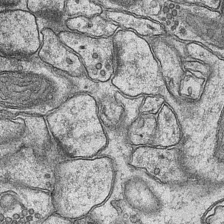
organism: Mouse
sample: CA1 Hippocampus